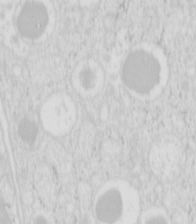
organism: Mouse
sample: Pancreas